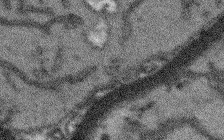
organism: Arabidopsis thaliana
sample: Root tip